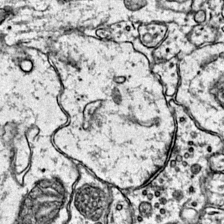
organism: Mouse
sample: Primary visual cortex